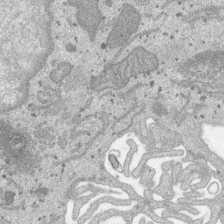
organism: Human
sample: Lung epithelial cells infected with SARS-CoV-2